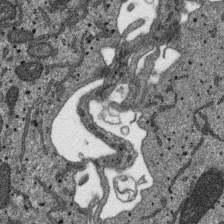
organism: Human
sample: Lung epithelial cells infected with SARS-CoV-2